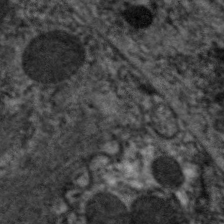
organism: C. elegans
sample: Pharynx